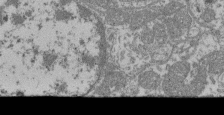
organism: Mouse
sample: Glomerulus